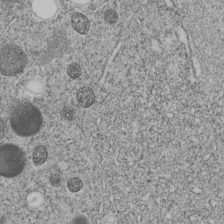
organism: C. elegans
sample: C. elegans embryo early stage